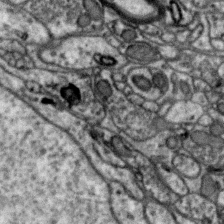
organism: Zebra finch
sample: Brain